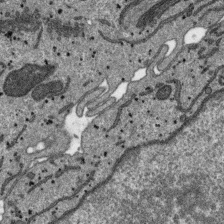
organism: Human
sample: Lung epithelial cells, uninfected (mock) control